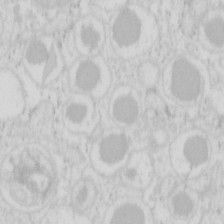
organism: Mouse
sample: Pancreas